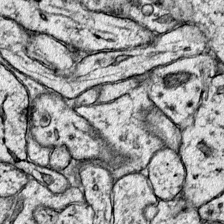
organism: Mouse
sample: Primary visual cortex